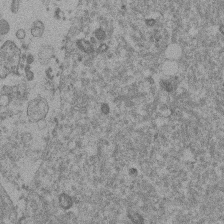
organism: Mouse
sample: Dividing mouse embryo 1 cell stage